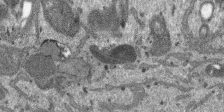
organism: Human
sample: Lung epithelial cells infected with SARS-CoV-2